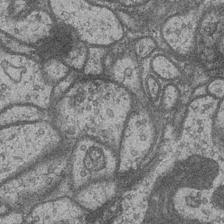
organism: Drosophila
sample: Optic medulla